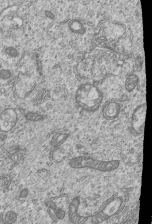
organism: Human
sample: MDA-MB-231 cells